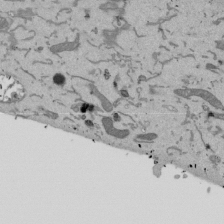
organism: Mouse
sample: ED-1 cell nuclei; centrioles